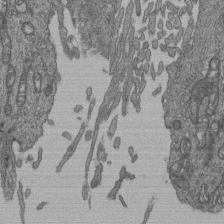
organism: Human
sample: Retinal organoid Rod and Cone cells